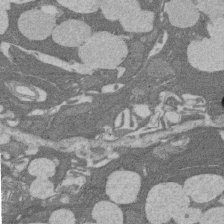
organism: Rat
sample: Salivary granule